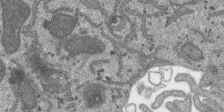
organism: Human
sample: Lung epithelial cells infected with SARS-CoV-2